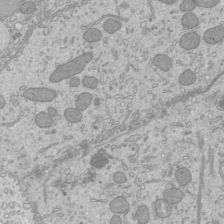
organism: Mouse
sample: Cilia; mouse epididymis